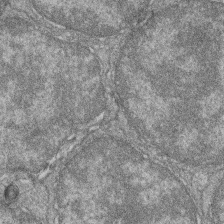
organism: Zebrafish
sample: Cilia; retinal pigment epithelium